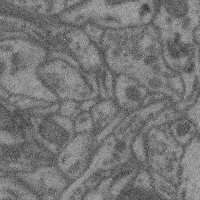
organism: Mouse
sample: Cerebral cortex